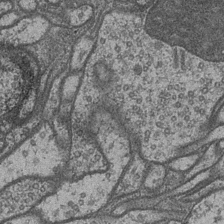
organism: Drosophila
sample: Optic medulla